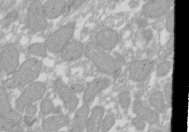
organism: Xenopus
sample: Cilia; centrioles in frog embryo cells